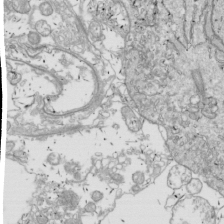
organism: Drosophila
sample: Cell division; meiosis; drosophila spermatocytes